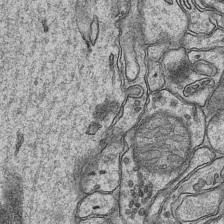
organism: Mouse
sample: CA1 Hippocampus